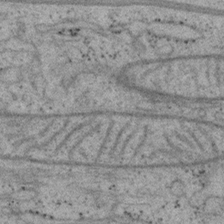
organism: Human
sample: HeLa cells